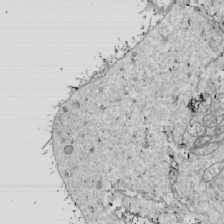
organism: Drosophila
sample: Cell division; meiosis; drosophila spermatocytes